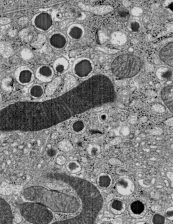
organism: C57BL Mouse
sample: Pancreatic islet